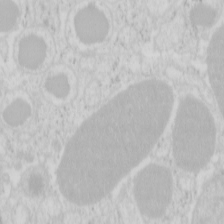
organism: Mouse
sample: Pancreas